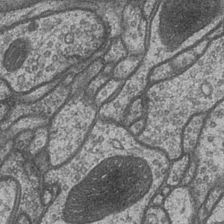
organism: Drosophila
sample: Optic medulla